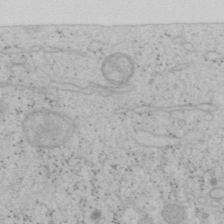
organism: Human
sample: HeLa cells